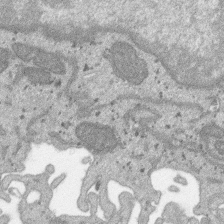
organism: Human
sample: Lung epithelial cells infected with SARS-CoV-2